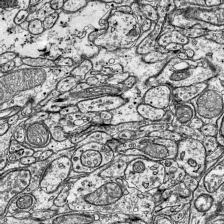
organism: Mouse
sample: Visual Cortex